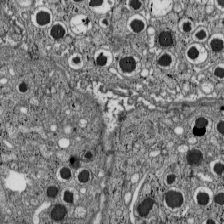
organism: C57BL Mouse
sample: Pancreatic islet